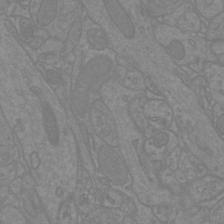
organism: Mouse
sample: Cortical neurons